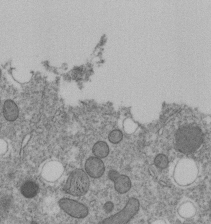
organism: C. elegans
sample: C. elegans embryo early stage